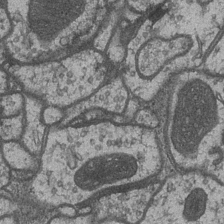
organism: Drosophila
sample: Optic medulla